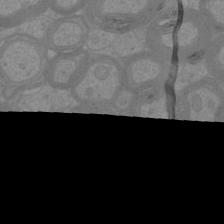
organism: Mouse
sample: Cortical neurons